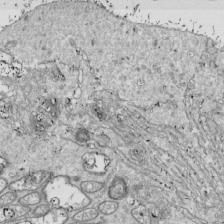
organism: Drosophila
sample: Cell division; meiosis; drosophila spermatocytes